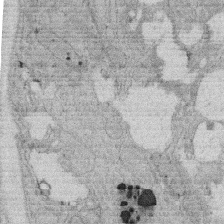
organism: Rat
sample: Salivary granule